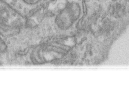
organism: Human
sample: Centriole in RPE cells